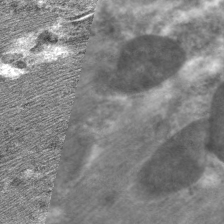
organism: C. elegans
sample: Pharynx